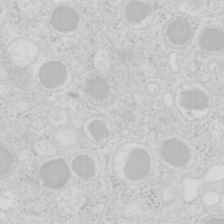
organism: Mouse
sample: Pancreas